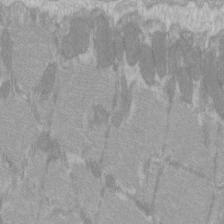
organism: C57BL Mouse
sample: Tibialis anterior muscle cell